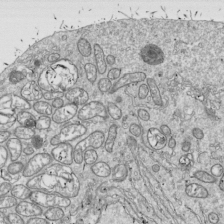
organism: Drosophila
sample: Cell division; meiosis; drosophila spermatocytes